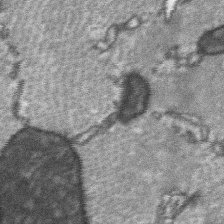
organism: C57BL Mouse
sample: Soleus